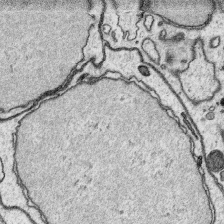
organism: Platynereis dumerilii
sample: Parapodia